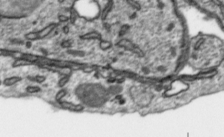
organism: Toxoplasma gondii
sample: Parasites in a vacuole inside a host cell